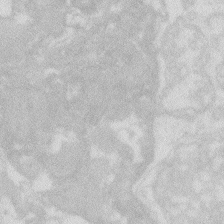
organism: Zebrafish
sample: Macrophage